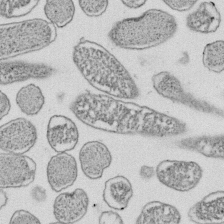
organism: E. coli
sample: Bacterial nucleoid